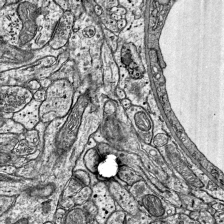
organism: Mouse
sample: Visual Cortex